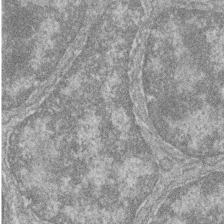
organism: Zebrafish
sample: Cilia; retinal pigment epithelium